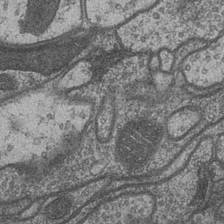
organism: Drosophila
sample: Optic medulla